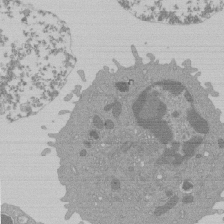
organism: Mouse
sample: Activated Pmel transgenic CD8+ T Cells